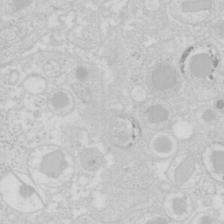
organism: Mouse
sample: Pancreas